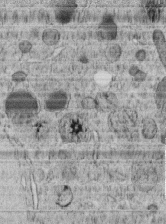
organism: C. elegans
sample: C. elegans embryo early stage